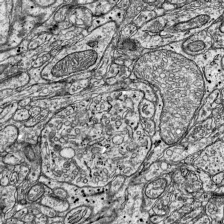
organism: Mouse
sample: Visual Cortex